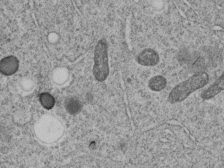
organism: C. elegans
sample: C. elegans embryo early stage